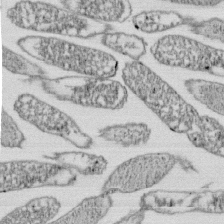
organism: E. coli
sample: Bacterial nucleoid